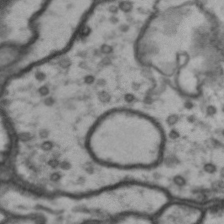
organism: Drosophila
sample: Brain